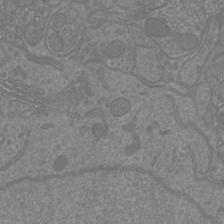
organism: Mouse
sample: Cortical neurons